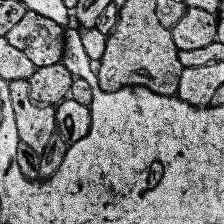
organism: Human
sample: Temporal Lobe